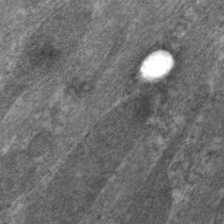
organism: C. elegans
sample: Pharynx